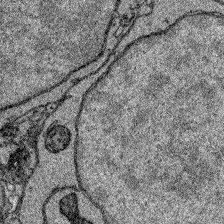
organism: Zebrafish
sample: Larval olfactory bulb